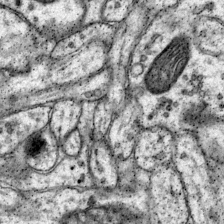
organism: Mouse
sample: Primary visual cortex